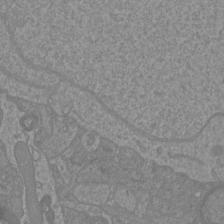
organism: Mouse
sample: Cortical neurons